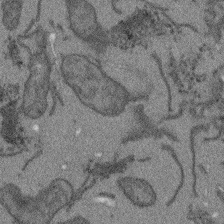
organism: Arabidopsis thaliana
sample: Root tip